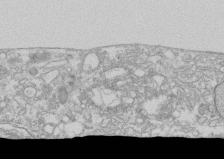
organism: Human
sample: CRL-1474